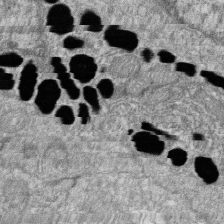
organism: Zebrafish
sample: Cilia; retinal pigment epithelium